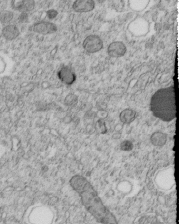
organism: C. elegans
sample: C. elegans embryo early stage